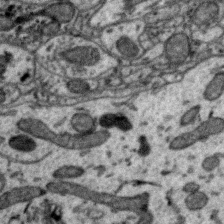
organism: Zebra finch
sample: Brain